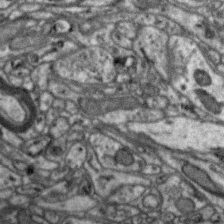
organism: Zebra finch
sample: Brain